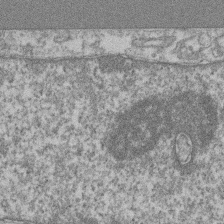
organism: Mouse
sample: T cell stromal cell synapse